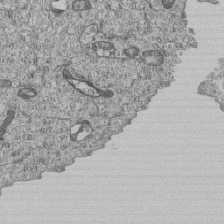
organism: Human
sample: MDA-MB-231 cells